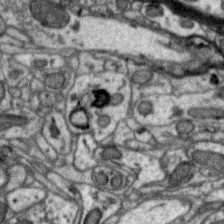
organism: Zebra finch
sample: Brain